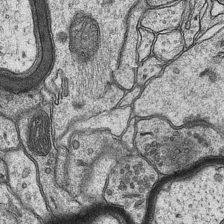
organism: Mouse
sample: CA1 Hippocampus